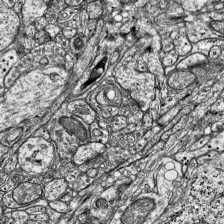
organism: Mouse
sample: Visual Cortex